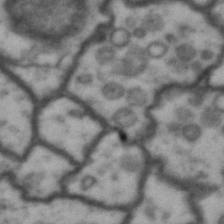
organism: Drosophila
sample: Brain